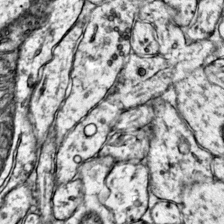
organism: Mouse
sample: Primary visual cortex